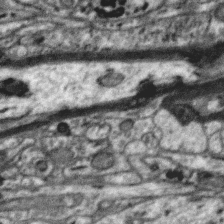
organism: Zebra finch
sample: Brain